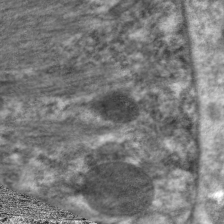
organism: C. elegans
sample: Pharynx